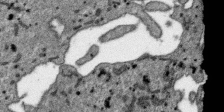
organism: Human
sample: Lung epithelial cells, uninfected (mock) control